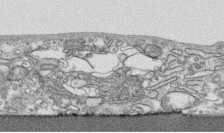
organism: Human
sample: CRL-1474